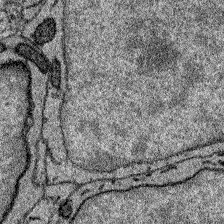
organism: Zebrafish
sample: Larval olfactory bulb